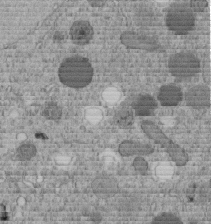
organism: C. elegans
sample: C. elegans embryo early stage